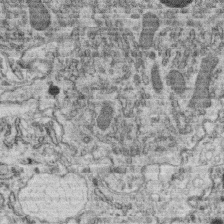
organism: C. elegans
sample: C. elegans oocyte; sperm cells